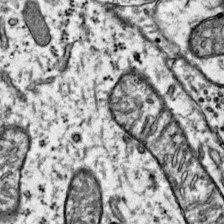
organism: Mouse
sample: Primary visual cortex